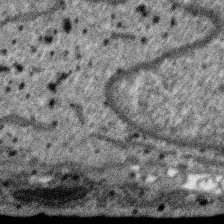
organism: Human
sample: Lung epithelial cells infected with SARS-CoV-2